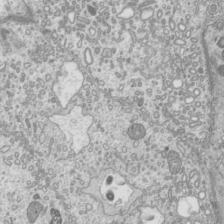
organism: Mouse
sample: Cilia; mouse epididymis